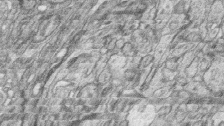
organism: Zebrafish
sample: synaptic ribbons in rod cells and cone cells